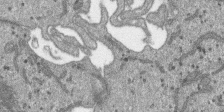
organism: Human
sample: Lung epithelial cells infected with SARS-CoV-2